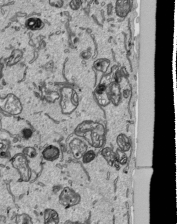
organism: Human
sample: Mitochondria in HCT116 cells